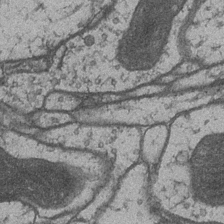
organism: Drosophila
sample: Optic medulla